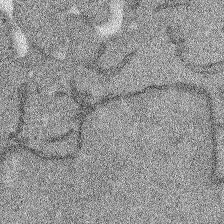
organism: Human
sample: HeLa cells